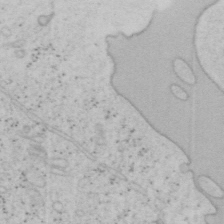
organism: Human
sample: HeLa cells